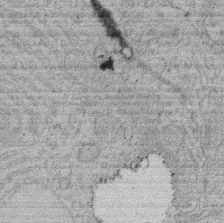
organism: Rat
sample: Salivary granule